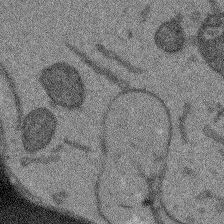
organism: Arabidopsis thaliana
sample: Root tip